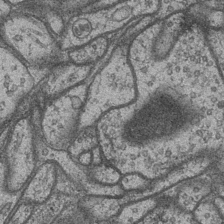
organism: Drosophila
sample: Optic medulla